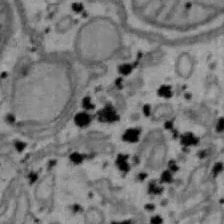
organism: Mouse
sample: Liver